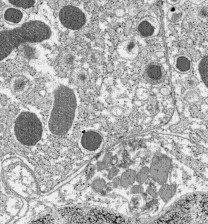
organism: C57BL Mouse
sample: Pancreatic islet